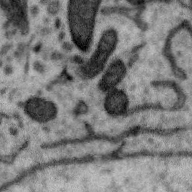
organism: Zebra finch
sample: Brain